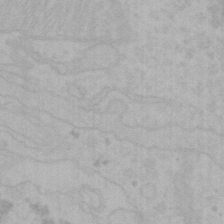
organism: Mouse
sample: Choroid plexus